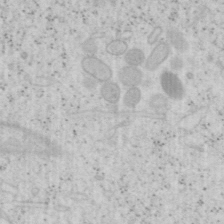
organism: Human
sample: HeLa cells